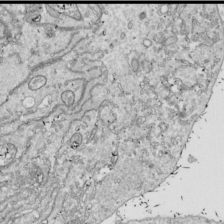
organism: Drosophila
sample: Cell division; meiosis; drosophila spermatocytes